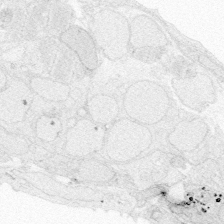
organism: Zebrafish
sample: Whole-Brain